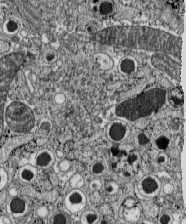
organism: C57BL Mouse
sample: Pancreatic islet